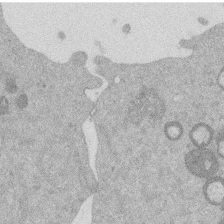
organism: Mouse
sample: Dividing mouse embryo 1 cell stage